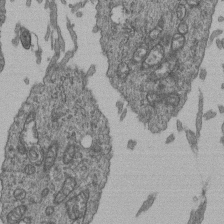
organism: Human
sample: Retinal organoid Rod and Cone cells